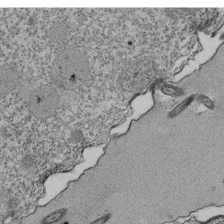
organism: Tetrahymena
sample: Cilia in tetrahymena